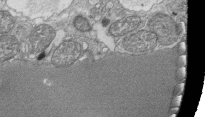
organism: Tetrahymena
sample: Cilia in tetrahymena